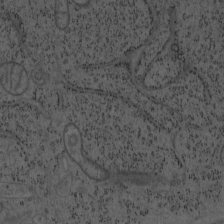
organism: Mouse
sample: OT-I killer T cells with ID8 ovarian cancer cells